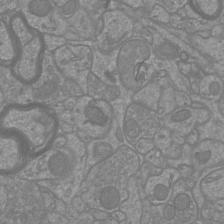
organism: Mouse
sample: Cortical neurons